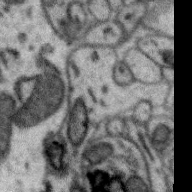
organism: Zebra finch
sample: Brain